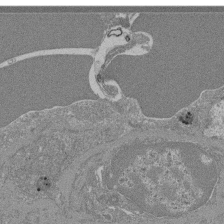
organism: Mouse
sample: Glomerulus